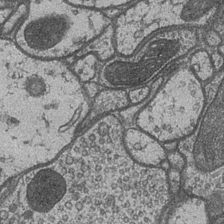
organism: Drosophila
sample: Optic medulla